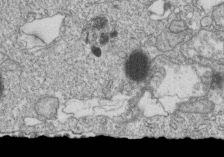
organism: Human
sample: HeLa cell HIV synapse